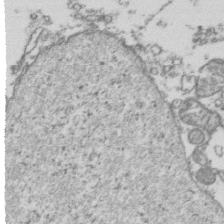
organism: Human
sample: Activated Jurkat CD4+ T cells